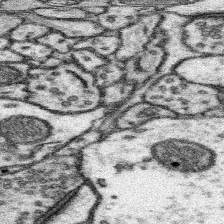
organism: Mouse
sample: Somatosensory cortex neuropil